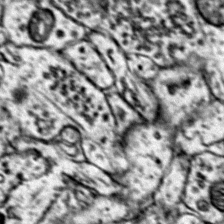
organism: Mouse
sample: Primary visual cortex